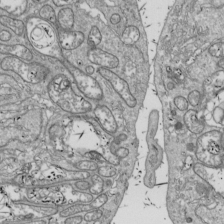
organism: Drosophila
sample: Cell division; meiosis; drosophila spermatocytes